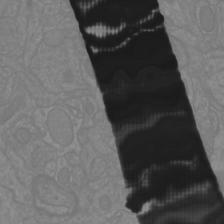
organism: Mouse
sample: Cortical neurons